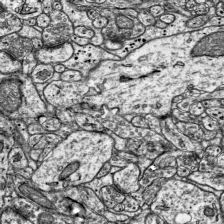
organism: Mouse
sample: Visual Cortex